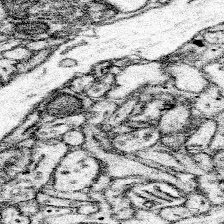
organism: Mouse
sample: Somatosensory cortex neuropil